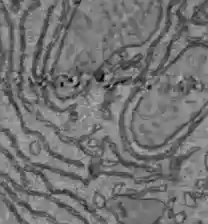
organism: C57BL Mouse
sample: Liver